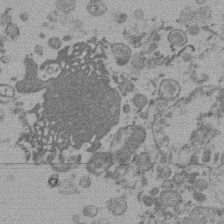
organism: Mouse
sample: Dividing mouse embryo 1 cell stage